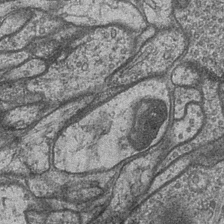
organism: Drosophila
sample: Optic medulla